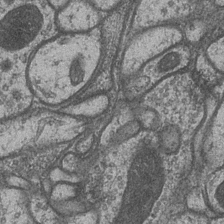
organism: Drosophila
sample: Optic medulla